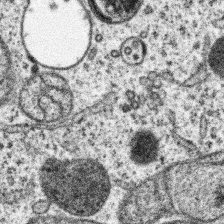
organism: Human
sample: HeLa cells